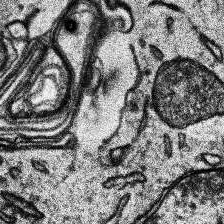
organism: Human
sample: Temporal Lobe